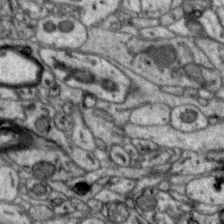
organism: Zebra finch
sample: Brain